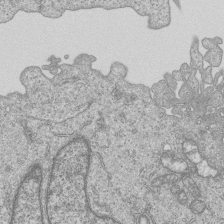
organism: Human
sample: MDA-MB-231 cells